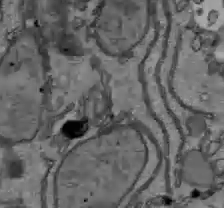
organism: C57BL Mouse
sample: Liver